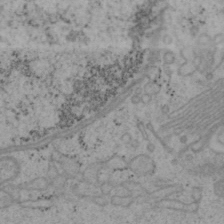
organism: Human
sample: HeLa cells